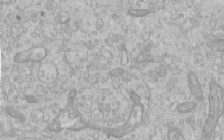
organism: Human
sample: Centriole in RPE cells